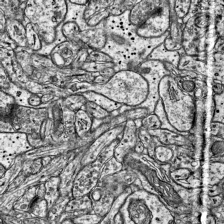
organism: Mouse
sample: Visual Cortex